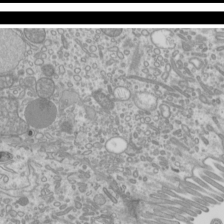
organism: Mouse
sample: Cilia; mouse epididymis